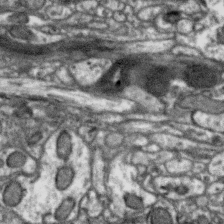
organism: Zebra finch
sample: Brain